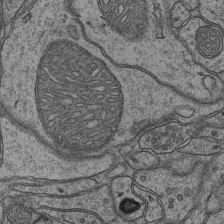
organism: Mouse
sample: CA1 Hippocampus